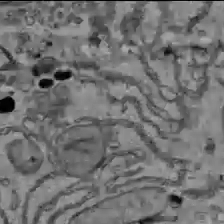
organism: C57BL Mouse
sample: Liver